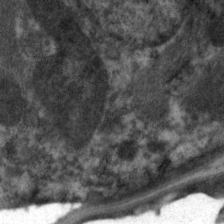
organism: C. elegans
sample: Pharynx